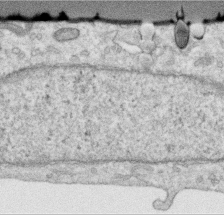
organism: Human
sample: Centriole in RPE cells